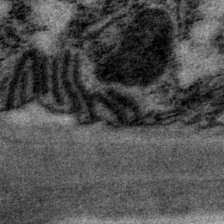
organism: P. pacificus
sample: Pharynx